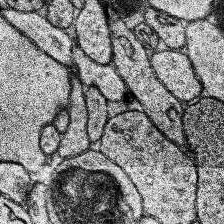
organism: Human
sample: Temporal Lobe